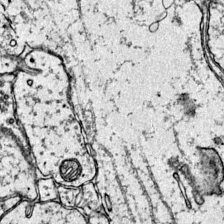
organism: Mouse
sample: Primary visual cortex